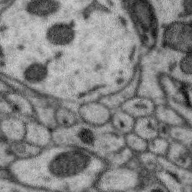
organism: Zebra finch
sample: Brain